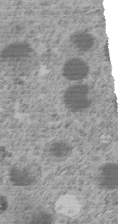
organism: C. elegans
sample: C. elegans embryo early stage